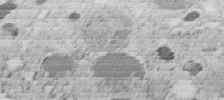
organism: C. elegans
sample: C. elegans embryo early stage